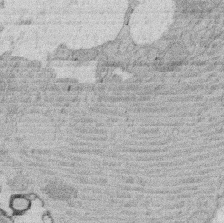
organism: Rat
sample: Salivary granule